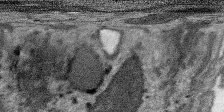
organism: Human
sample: Lung epithelial cells infected with SARS-CoV-2